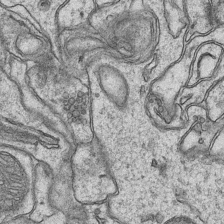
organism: Mouse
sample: CA1 Hippocampus